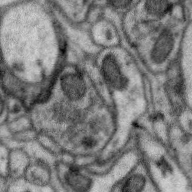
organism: Zebra finch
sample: Brain